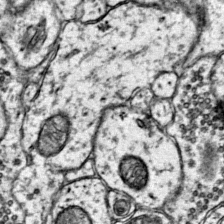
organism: Mouse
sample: Primary visual cortex